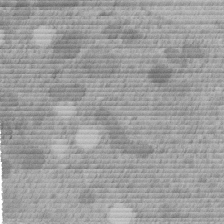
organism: C. elegans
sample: C. elegans embryo early stage